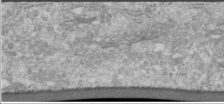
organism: Human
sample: Cilia; basal body in RPE cells